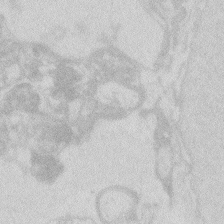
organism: Zebrafish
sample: Macrophage